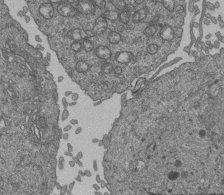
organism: Human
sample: Retinal organoid Rod and Cone cells